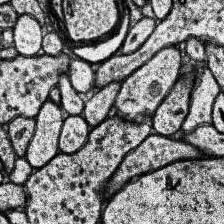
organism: Human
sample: Temporal Lobe